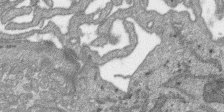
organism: Human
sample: Lung epithelial cells infected with SARS-CoV-2